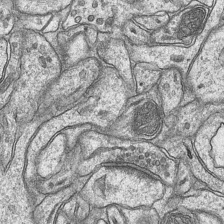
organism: Mouse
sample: CA1 Hippocampus